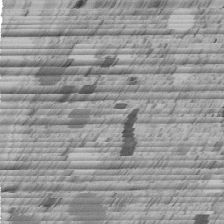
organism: C. elegans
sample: C. elegans embryo early stage